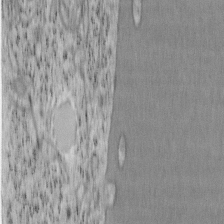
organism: Human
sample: HeLa cells